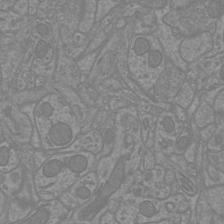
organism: Mouse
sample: Cortical neurons